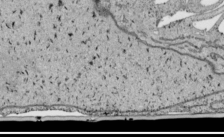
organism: Human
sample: Mitochondria in HCT116 cells